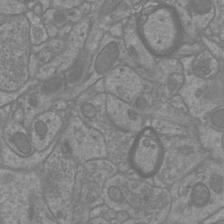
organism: Mouse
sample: Cortical neurons